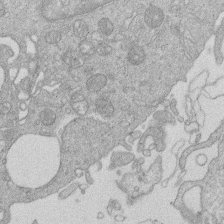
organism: Human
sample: Macrophage cells